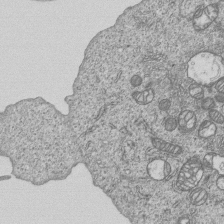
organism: Human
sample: MDA-MB-231 cells